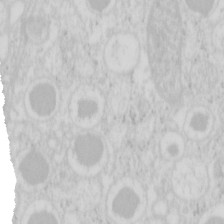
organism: Mouse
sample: Pancreas